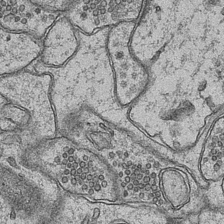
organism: Mouse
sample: CA1 Hippocampus